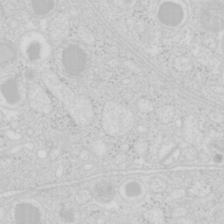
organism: Mouse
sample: Pancreas